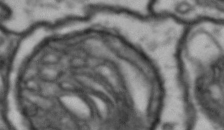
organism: Drosophila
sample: Brain